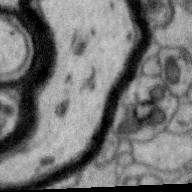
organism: Zebra finch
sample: Brain